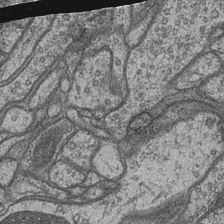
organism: Drosophila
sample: Optic medulla